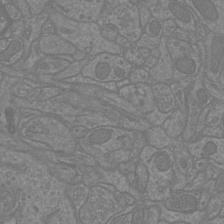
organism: Mouse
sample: Cortical neurons